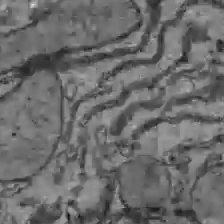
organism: C57BL Mouse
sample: Liver